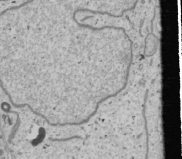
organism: Human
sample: Mitochondria in U2OS cells